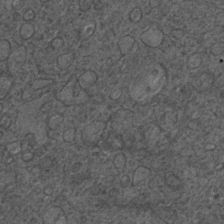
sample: Trachea